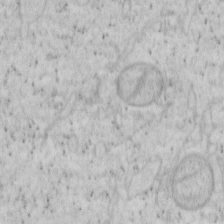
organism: Human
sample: HeLa cells